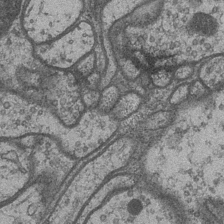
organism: Drosophila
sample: Optic medulla